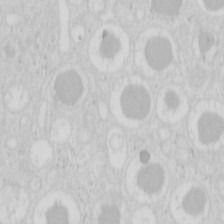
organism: Mouse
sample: Pancreas